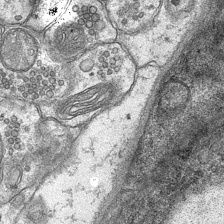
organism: Mouse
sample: CA1 Hippocampus